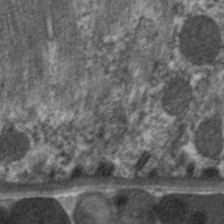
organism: C. elegans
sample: Pharynx